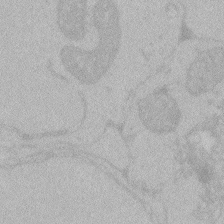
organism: Zebrafish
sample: Macrophage infected with Toxoplasma gondii